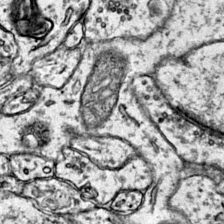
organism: Mouse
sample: Primary visual cortex